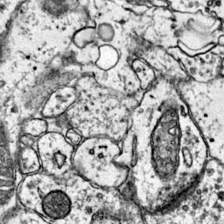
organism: Mouse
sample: Primary visual cortex